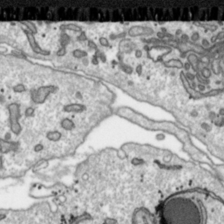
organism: Toxoplasma gondii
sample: Parasites in a vacuole inside a host cell